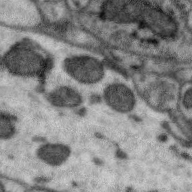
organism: Zebra finch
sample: Brain